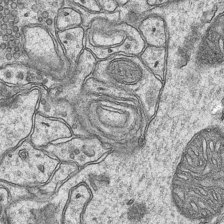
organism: Mouse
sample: CA1 Hippocampus